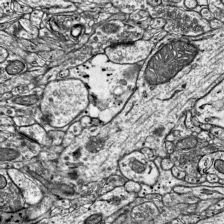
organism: Mouse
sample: Visual Cortex